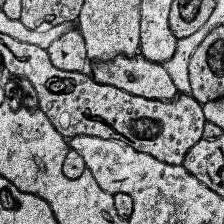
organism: Human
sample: Temporal Lobe